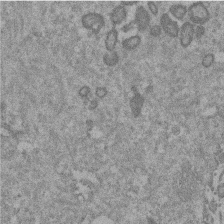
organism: Mouse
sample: Dividing mouse embryo 1 cell stage